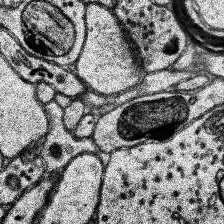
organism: Human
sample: Temporal Lobe